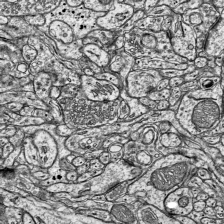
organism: Mouse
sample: Visual Cortex